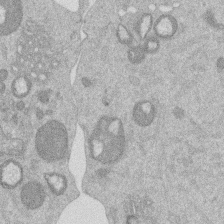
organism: Mouse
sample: Dividing mouse embryo 1 cell stage